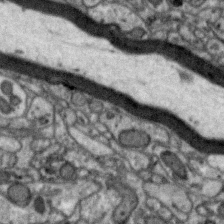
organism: Zebra finch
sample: Brain